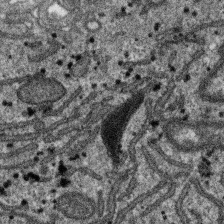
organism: Human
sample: Lung epithelial cells infected with SARS-CoV-2